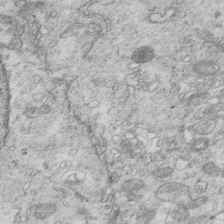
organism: Mouse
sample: Multiciliated cells